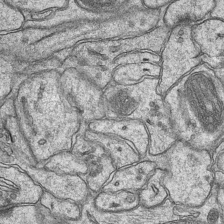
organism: Mouse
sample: CA1 Hippocampus